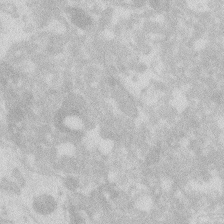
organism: Zebrafish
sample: Macrophage